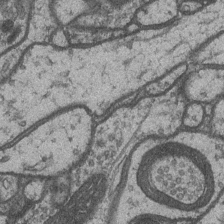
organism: Drosophila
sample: Optic medulla